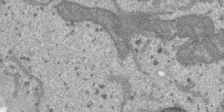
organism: Human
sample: Lung epithelial cells infected with SARS-CoV-2